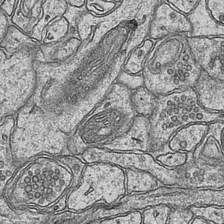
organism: Mouse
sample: CA1 Hippocampus